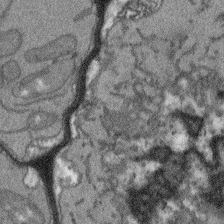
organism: Arabidopsis thaliana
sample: Root tip